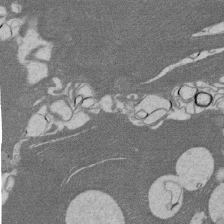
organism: Rat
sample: Salivary granule